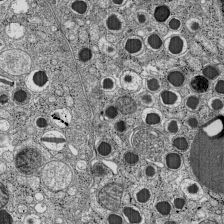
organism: C57BL Mouse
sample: Pancreatic islet